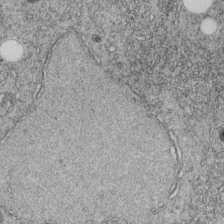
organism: C. elegans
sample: C. elegans embryo early stage